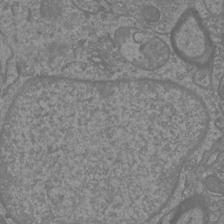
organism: Mouse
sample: Cortical neurons